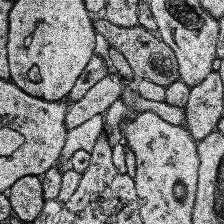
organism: Human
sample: Temporal Lobe